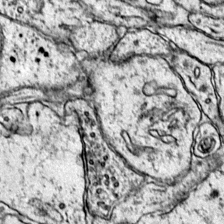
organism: Mouse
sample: Primary visual cortex